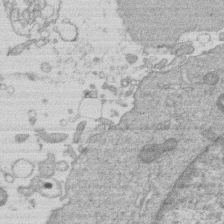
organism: Human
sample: Macrophage cells